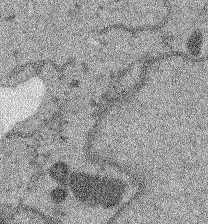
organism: Human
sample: HeLa cells